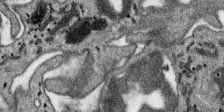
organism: Human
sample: Lung epithelial cells, uninfected (mock) control